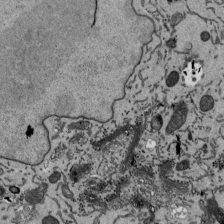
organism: Mouse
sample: ED-1 cell nuclei; centrioles